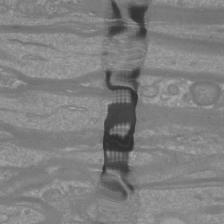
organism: Mouse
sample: Cortical neurons